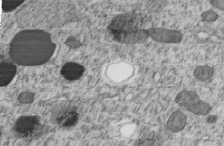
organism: C. elegans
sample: C. elegans embryo early stage